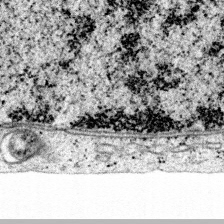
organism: Human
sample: HeLa cells